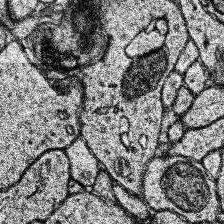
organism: Human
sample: Temporal Lobe